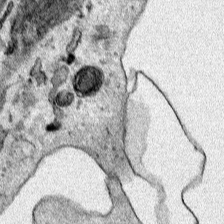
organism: Human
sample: Mitochondria in HCT116 cells